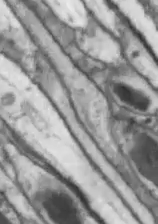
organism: Drosophila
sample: Optic lobe